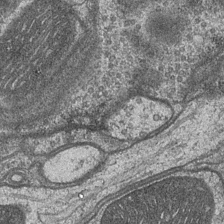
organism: Drosophila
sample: Optic medulla